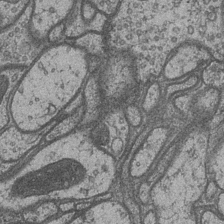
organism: Drosophila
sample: Optic medulla